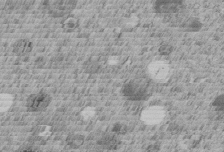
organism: C. elegans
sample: C. elegans embryo early stage